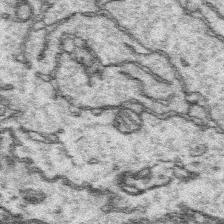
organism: Platynereis dumerilii